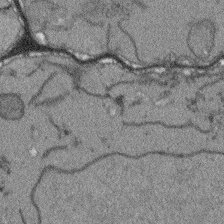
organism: Arabidopsis thaliana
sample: Root tip